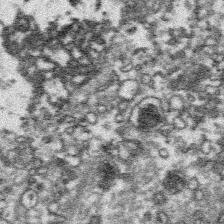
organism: Platynereis dumerilii